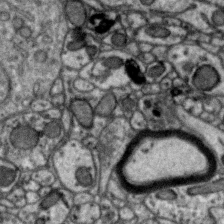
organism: Zebra finch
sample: Brain